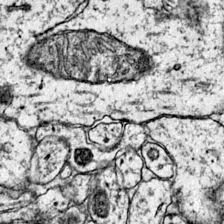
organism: Mouse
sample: Primary visual cortex